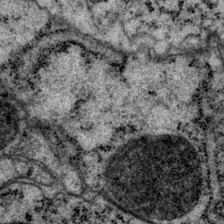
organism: P. pacificus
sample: Pharynx